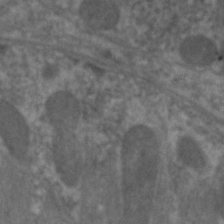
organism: C. elegans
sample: Pharynx